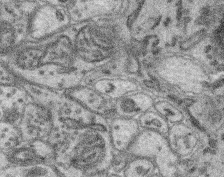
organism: Mouse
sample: Retina